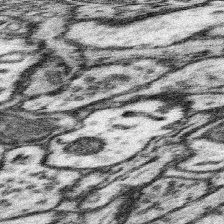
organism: Mouse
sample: Somatosensory cortex neuropil